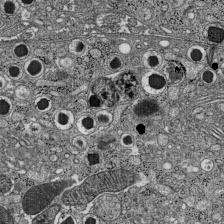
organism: C57BL Mouse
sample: Pancreatic islet